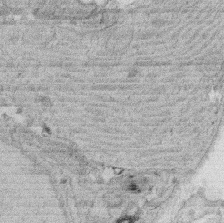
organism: Rat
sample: Salivary granule